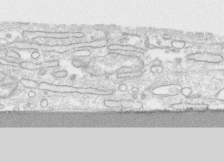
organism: Human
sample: CRL-1474